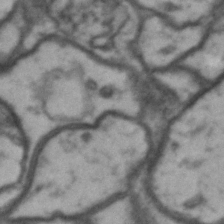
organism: Drosophila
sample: Brain